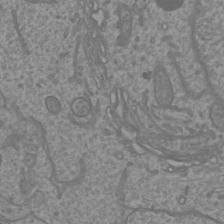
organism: Mouse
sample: Cortical neurons